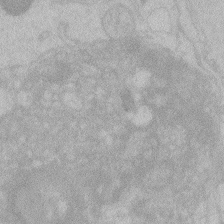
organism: Zebrafish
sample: Macrophage infected with Toxoplasma gondii